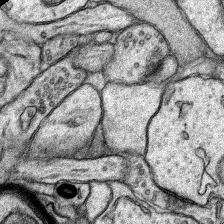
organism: Rat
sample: Hippocampus